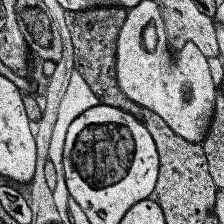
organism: Human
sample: Temporal Lobe